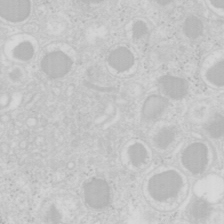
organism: Mouse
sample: Pancreas